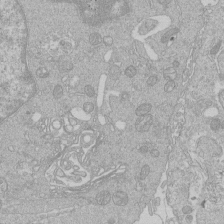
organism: Human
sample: Macrophage cells